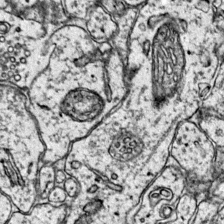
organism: Mouse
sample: Primary visual cortex